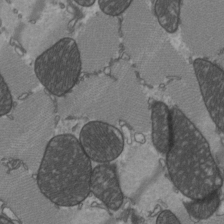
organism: C57BL Mouse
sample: Heart